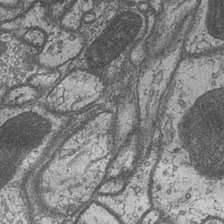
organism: Drosophila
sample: Optic medulla